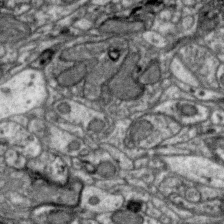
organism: Zebra finch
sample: Brain